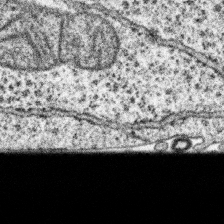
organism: Human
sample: HeLa cells